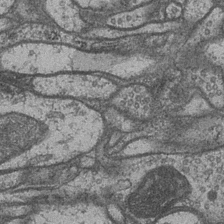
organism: Drosophila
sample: Optic medulla